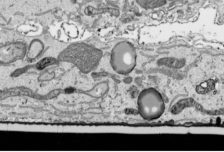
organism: Human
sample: Mitochondria in HCT116 cells